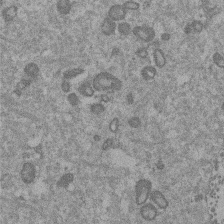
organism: Mouse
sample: Dividing mouse embryo 1 cell stage